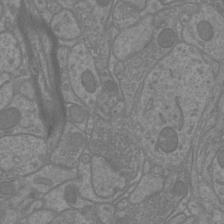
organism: Mouse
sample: Cortical neurons